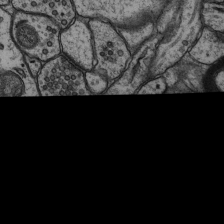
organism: Rat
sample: Hippocampus